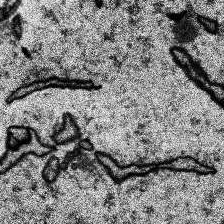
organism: Human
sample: Temporal Lobe